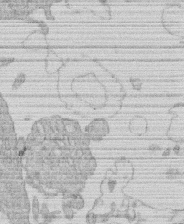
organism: Human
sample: Macrophage cells